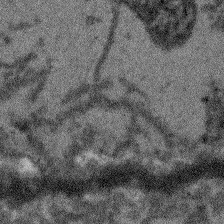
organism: Arabidopsis thaliana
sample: Root tip